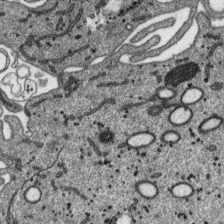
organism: Human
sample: Lung epithelial cells infected with SARS-CoV-2